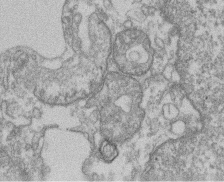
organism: Mouse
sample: T cell stromal cell synapse